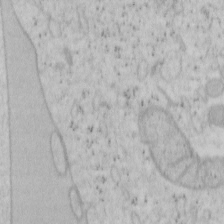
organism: Human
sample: HeLa cells